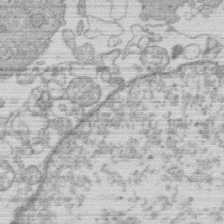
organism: Human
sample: Macrophage cells